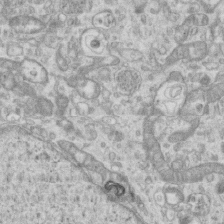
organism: Mouse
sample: Centriole in ependymal cells